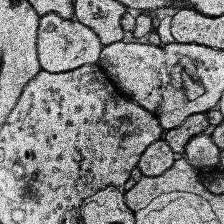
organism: Human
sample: Temporal Lobe